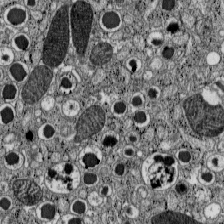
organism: C57BL Mouse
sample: Pancreatic islet